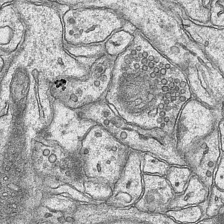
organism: Mouse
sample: CA1 Hippocampus